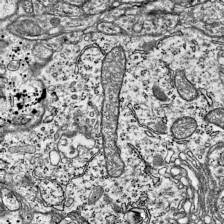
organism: Mouse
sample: Visual Cortex